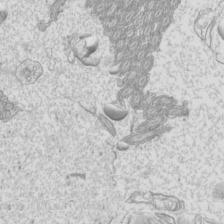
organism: Mouse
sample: Cilia; mouse epididymis